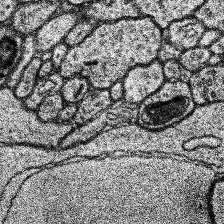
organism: Human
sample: Temporal Lobe